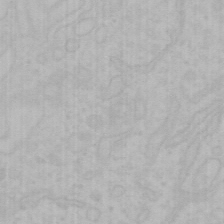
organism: Mouse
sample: Choroid plexus